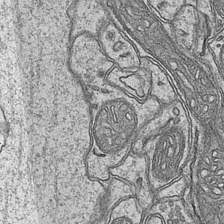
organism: Mouse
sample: CA1 Hippocampus